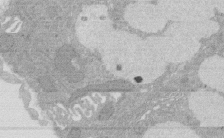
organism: Rat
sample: Salivary granule